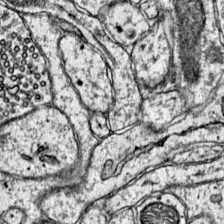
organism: Mouse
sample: Primary visual cortex